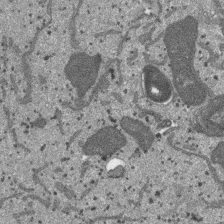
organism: Human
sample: Lung epithelial cells infected with SARS-CoV-2